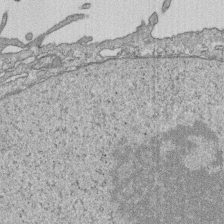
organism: Human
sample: HeLa cell HIV synapse